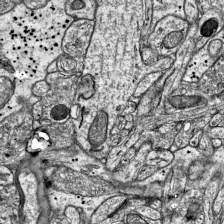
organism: Mouse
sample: Visual Cortex